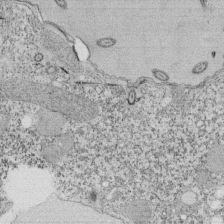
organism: Tetrahymena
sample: Cilia in tetrahymena